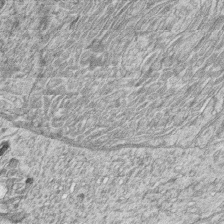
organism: Zebrafish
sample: synaptic ribbons in rod cells and cone cells